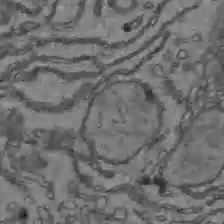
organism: C57BL Mouse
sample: Liver